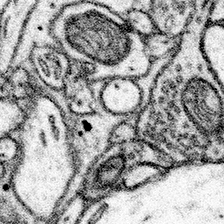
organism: Mouse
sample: Somatosensory cortex neuropil